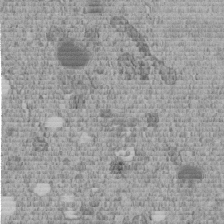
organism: C. elegans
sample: C. elegans embryo early stage